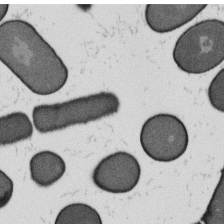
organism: B. subtilis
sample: Bacterial spore